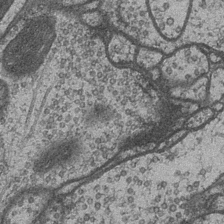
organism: Drosophila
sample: Optic medulla